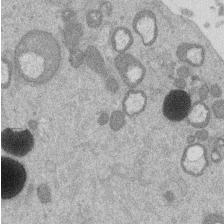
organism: Mouse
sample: Dividing mouse embryo 1 cell stage